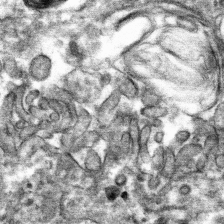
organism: Mouse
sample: Mouse hepatocytes